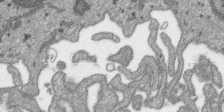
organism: Human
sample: Lung epithelial cells infected with SARS-CoV-2